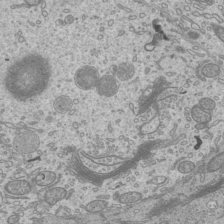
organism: Mouse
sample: Cilia; mouse epididymis